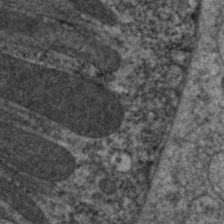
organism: C. elegans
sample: Pharynx